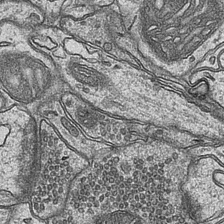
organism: Mouse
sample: CA1 Hippocampus